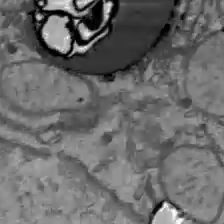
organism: C57BL Mouse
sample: Liver